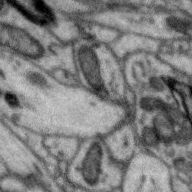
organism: Zebra finch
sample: Brain